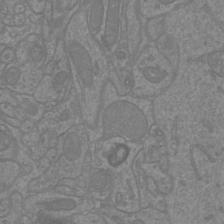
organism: Mouse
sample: Cortical neurons